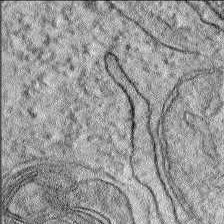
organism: Human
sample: HeLa cells